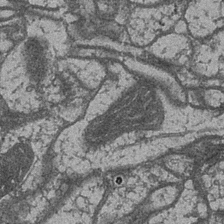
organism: Drosophila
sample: Optic medulla